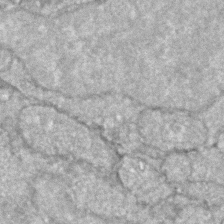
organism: Zebrafish